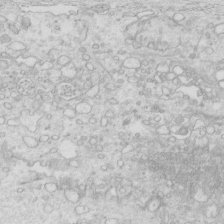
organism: Mouse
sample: Multiciliated cells